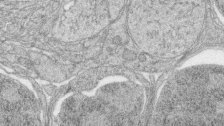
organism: Zebrafish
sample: synaptic ribbons in rod cells and cone cells